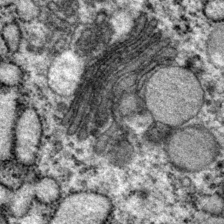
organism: P. pacificus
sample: Pharynx